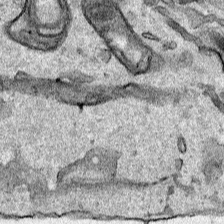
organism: Human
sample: Mitochondria in HCT116 cells